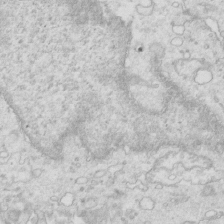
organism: Mouse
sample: Multiciliated cells